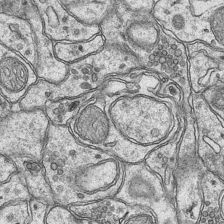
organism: Mouse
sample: CA1 Hippocampus